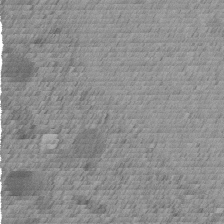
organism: C. elegans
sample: C. elegans embryo early stage